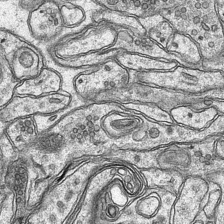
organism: Mouse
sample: CA1 Hippocampus